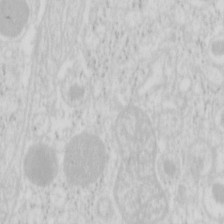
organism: Mouse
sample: Pancreas